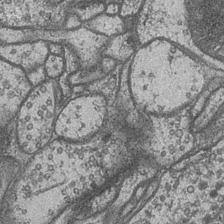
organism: Drosophila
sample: Optic medulla